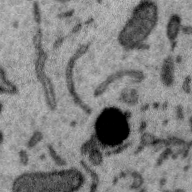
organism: Zebra finch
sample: Brain